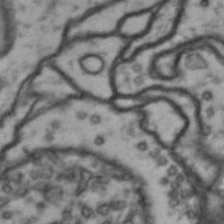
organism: Drosophila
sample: Brain